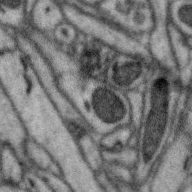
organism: Zebra finch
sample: Brain